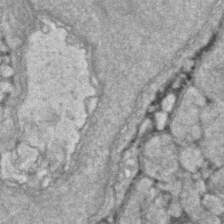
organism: Zebrafish